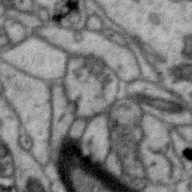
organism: Zebra finch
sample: Brain